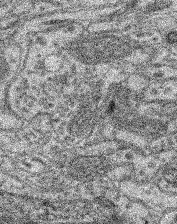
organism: Mouse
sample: Retina